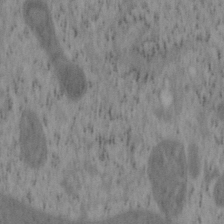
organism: Mouse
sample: OT-I killer T cells with ID8 ovarian cancer cells